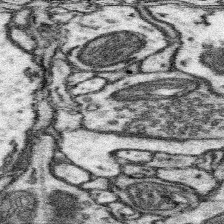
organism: Mouse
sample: Somatosensory cortex neuropil